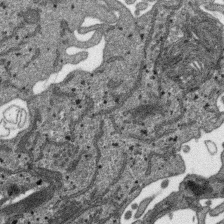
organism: Human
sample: Lung epithelial cells infected with SARS-CoV-2